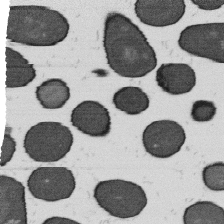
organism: B. subtilis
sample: Bacterial spore